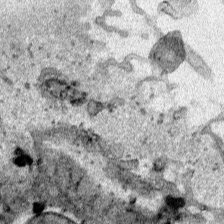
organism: Human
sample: Mitochondria in HCT116 cells